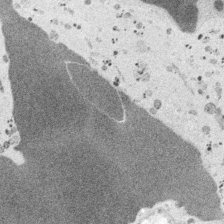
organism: Embia sp.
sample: Silk gland